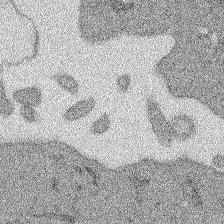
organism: Human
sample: HeLa cells